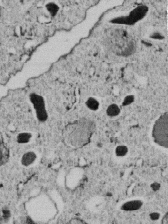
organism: C. elegans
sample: C. elegans embryo early stage